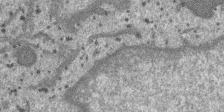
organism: Human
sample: Lung epithelial cells infected with SARS-CoV-2